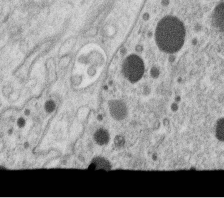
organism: C. elegans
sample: C. elegans oocyte; sperm cells